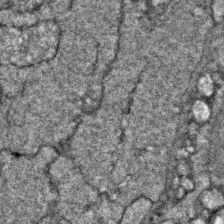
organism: Zebrafish